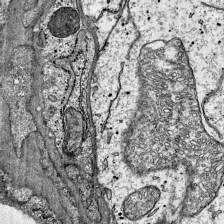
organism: Mouse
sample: Visual Cortex